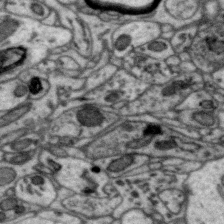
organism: Zebra finch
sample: Brain